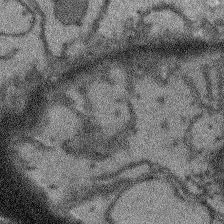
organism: Arabidopsis thaliana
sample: Root tip